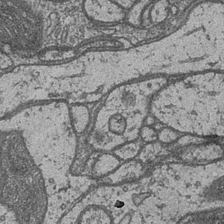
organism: Drosophila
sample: Optic medulla